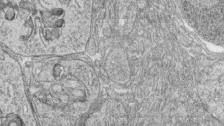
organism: Zebrafish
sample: synaptic ribbons in rod cells and cone cells